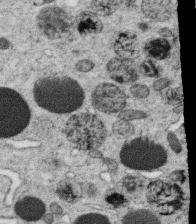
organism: C. elegans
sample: C. elegans oocyte; sperm cells